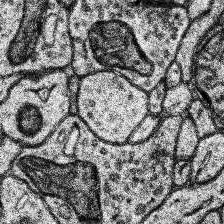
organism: Human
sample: Temporal Lobe